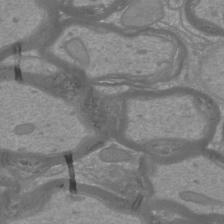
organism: Mouse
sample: Cortical neurons